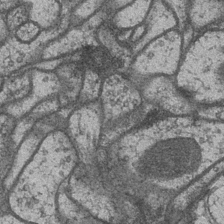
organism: Drosophila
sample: Optic medulla